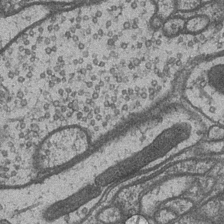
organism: Drosophila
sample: Optic medulla